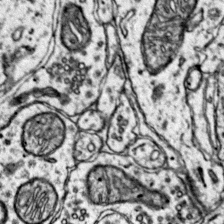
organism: Mouse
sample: Primary visual cortex